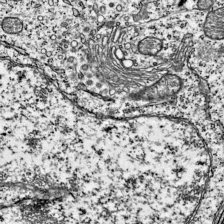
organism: Mouse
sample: Visual Cortex